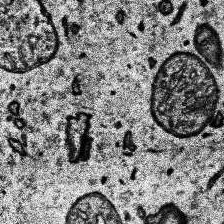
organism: Human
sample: Temporal Lobe